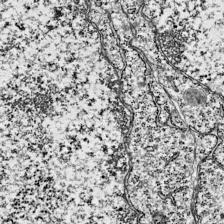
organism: Mouse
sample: Visual Cortex